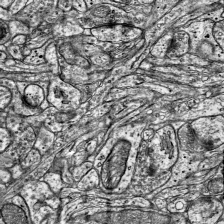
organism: Mouse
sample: Visual Cortex